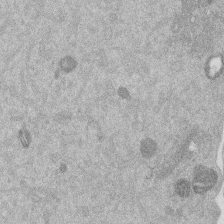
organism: Mouse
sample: Dividing mouse embryo 1 cell stage